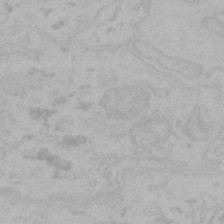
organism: Mouse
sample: Choroid plexus